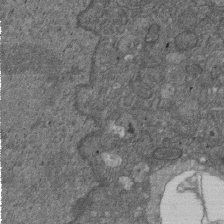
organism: Drosophila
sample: Nephrocyte